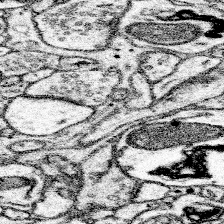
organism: Mouse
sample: Somatosensory cortex neuropil